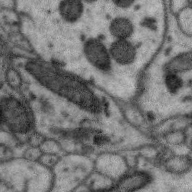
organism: Zebra finch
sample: Brain